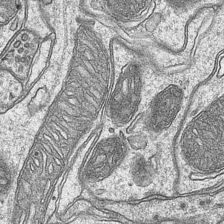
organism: Mouse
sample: CA1 Hippocampus